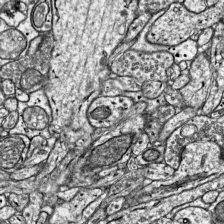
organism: Mouse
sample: Visual Cortex